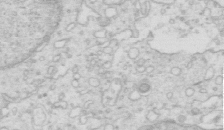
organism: Mouse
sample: Multiciliated cells